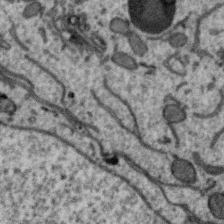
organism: Zebra finch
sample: Brain